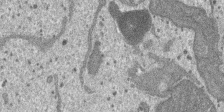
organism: Human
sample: Lung epithelial cells infected with SARS-CoV-2